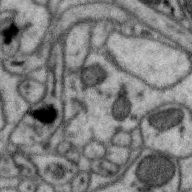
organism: Zebra finch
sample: Brain